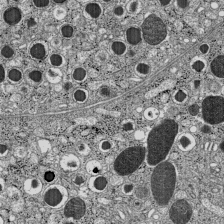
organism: C57BL Mouse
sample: Pancreatic islet